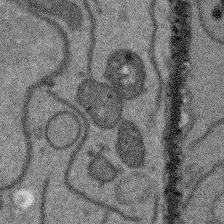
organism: Arabidopsis thaliana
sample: Root tip